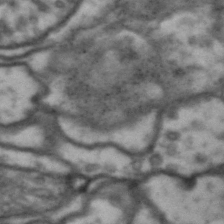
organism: Drosophila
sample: Brain